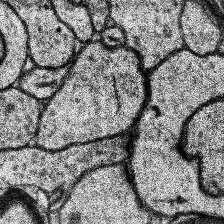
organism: Human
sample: Temporal Lobe